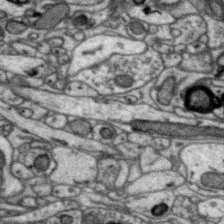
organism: Zebra finch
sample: Brain